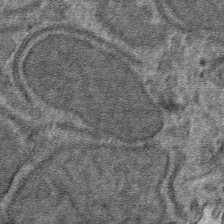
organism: Mouse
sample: Mouse hepatocytes